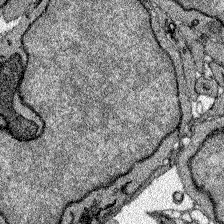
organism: Zebrafish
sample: Larval olfactory bulb